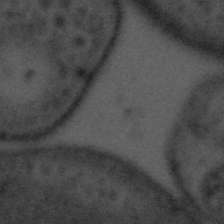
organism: Tuwongella immobilis